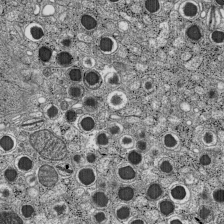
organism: C57BL Mouse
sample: Pancreatic islet